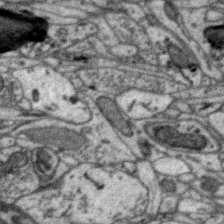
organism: Zebra finch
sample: Brain